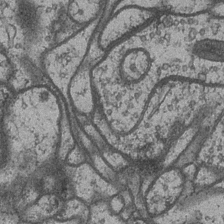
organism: Drosophila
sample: Optic medulla